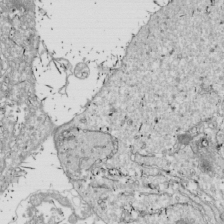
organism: Drosophila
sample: Cell division; meiosis; drosophila spermatocytes